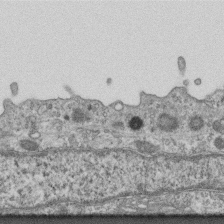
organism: Mouse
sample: Centriole in ependymal cells